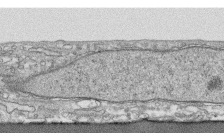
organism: Human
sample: CRL-1474